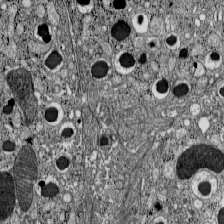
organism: C57BL Mouse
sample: Pancreatic islet